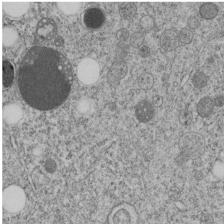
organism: C. elegans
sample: C. elegans embryo early stage